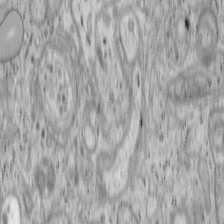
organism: Human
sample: HeLa cells